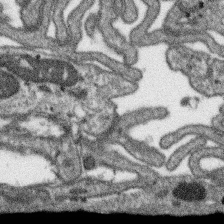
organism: Human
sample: Lung epithelial cells infected with SARS-CoV-2